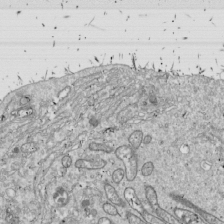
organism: Drosophila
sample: Cell division; meiosis; drosophila spermatocytes